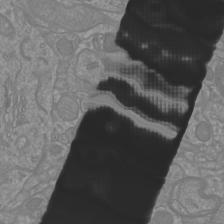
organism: Mouse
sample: Cortical neurons